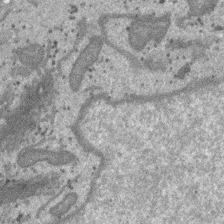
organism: Human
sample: Lung epithelial cells infected with SARS-CoV-2